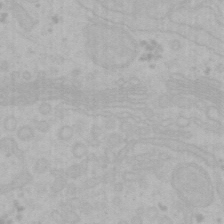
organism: Mouse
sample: Choroid plexus